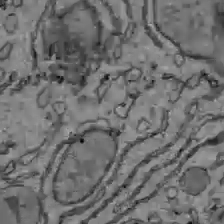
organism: C57BL Mouse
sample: Liver